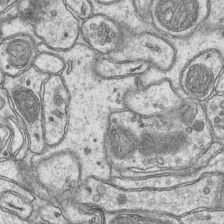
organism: Mouse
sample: CA1 Hippocampus